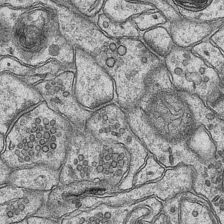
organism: Mouse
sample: CA1 Hippocampus